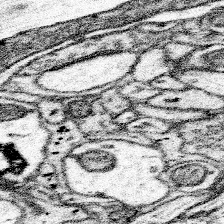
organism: Mouse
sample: Somatosensory cortex neuropil